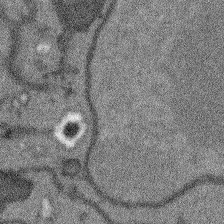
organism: Arabidopsis thaliana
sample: Root tip